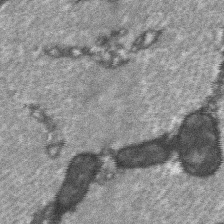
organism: C57BL Mouse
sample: Soleus